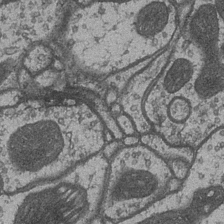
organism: Drosophila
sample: Optic medulla